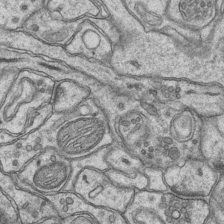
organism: Mouse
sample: CA1 Hippocampus